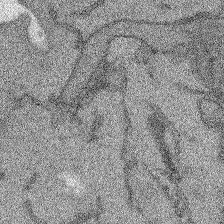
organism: Human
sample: HeLa cells